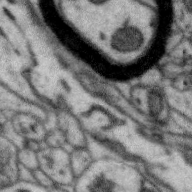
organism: Zebra finch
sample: Brain